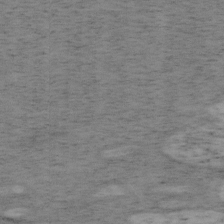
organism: Mouse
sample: OT-I killer T cells with ID8 ovarian cancer cells